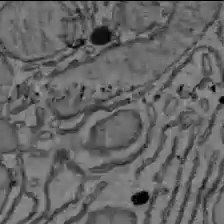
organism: C57BL Mouse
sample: Liver